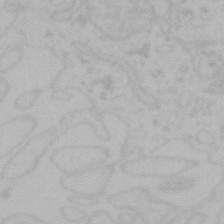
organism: Mouse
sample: Choroid plexus